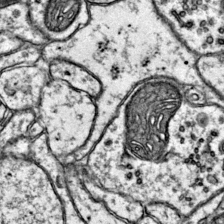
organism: Mouse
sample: Primary visual cortex